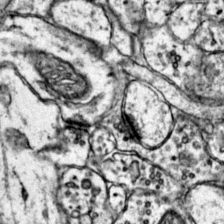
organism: Mouse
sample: Primary visual cortex